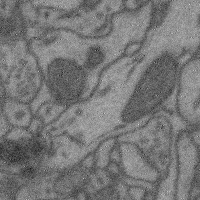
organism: Mouse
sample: Cerebral cortex